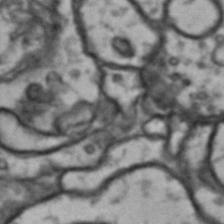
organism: Drosophila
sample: Brain